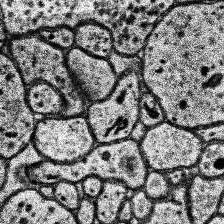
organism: Human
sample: Temporal Lobe